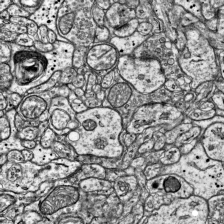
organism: Mouse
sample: Visual Cortex